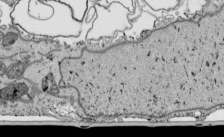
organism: Human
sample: Mitochondria in HCT116 cells